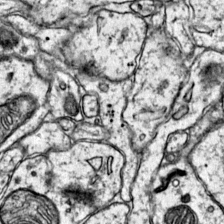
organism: Mouse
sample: Primary visual cortex